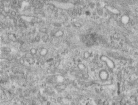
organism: Human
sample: Centriole in RPE cells